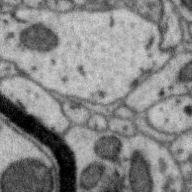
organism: Zebra finch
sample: Brain